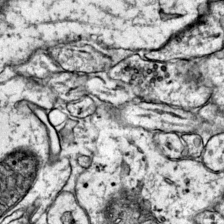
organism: Mouse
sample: Primary visual cortex